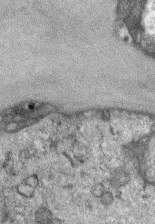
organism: Mouse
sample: Corneal nerves